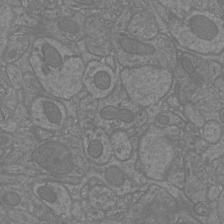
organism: Mouse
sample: Cortical neurons